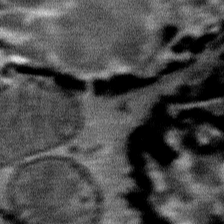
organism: Mouse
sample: Mouse Salivary gland